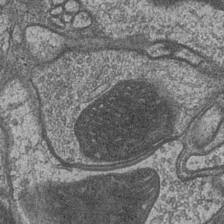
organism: Drosophila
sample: Optic medulla